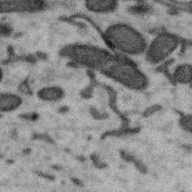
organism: Zebra finch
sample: Brain